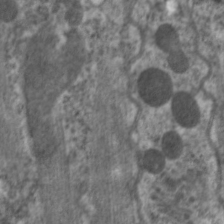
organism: C. elegans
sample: Pharynx